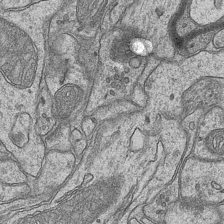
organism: Mouse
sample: CA1 Hippocampus